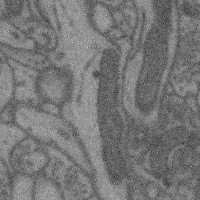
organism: Mouse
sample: Cerebral cortex